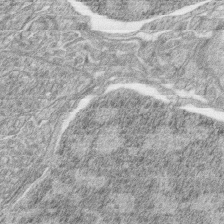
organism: Zebrafish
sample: synaptic ribbons in rod cells and cone cells